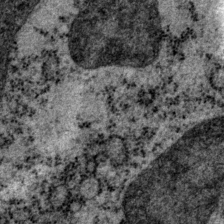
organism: P. pacificus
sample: Pharynx